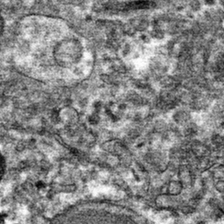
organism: Mouse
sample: Mouse hepatocytes